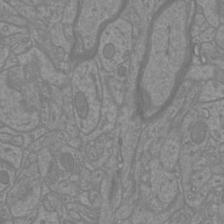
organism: Mouse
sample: Cortical neurons